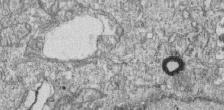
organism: Human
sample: HeLa cell HIV synapse